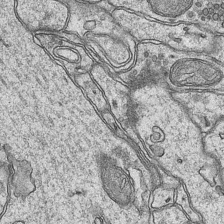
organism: Mouse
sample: CA1 Hippocampus